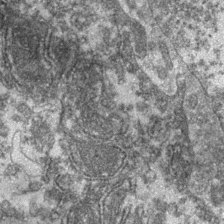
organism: Zebrafish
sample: Zebrafish embryo